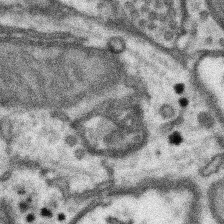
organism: Mouse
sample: Somatosensory cortex neuropil